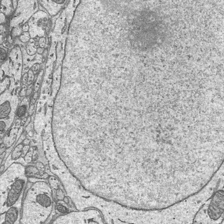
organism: Mouse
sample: Suprachiasmatic nucleus